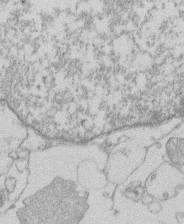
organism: Human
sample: Macrophage cells